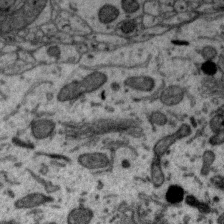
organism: Zebra finch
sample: Brain